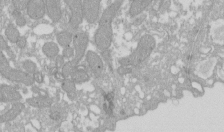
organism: Xenopus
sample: Cilia; centrioles in frog embryo cells